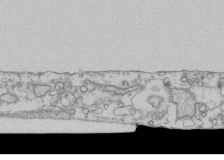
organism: Human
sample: Fibroblast cells